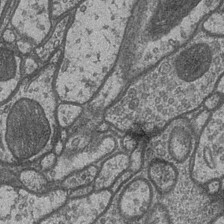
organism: Drosophila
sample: Optic medulla